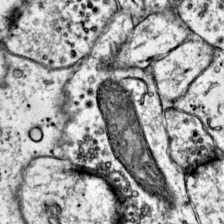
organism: Mouse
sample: Primary visual cortex